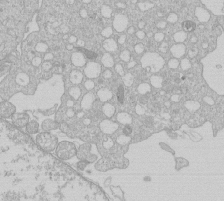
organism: Human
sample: Macrophage cells